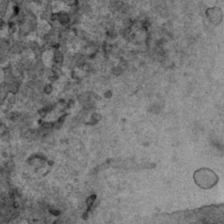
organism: Human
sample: Mitochondria in HCT116 cells